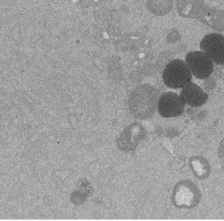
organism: Mouse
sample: Dividing mouse embryo 1 cell stage